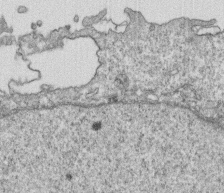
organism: Human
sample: HeLa cell HIV synapse